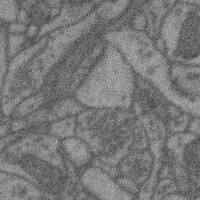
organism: Mouse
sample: Cerebral cortex